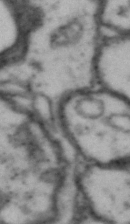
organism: Drosophila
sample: Brain